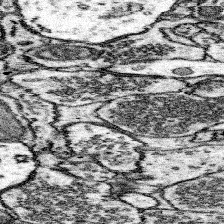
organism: Mouse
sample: Somatosensory cortex neuropil